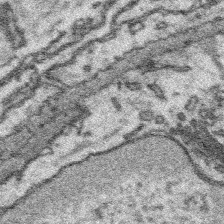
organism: Platynereis dumerilii